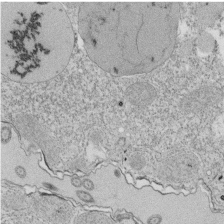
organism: Tetrahymena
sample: Cilia in tetrahymena